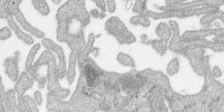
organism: Human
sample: Lung epithelial cells infected with SARS-CoV-2